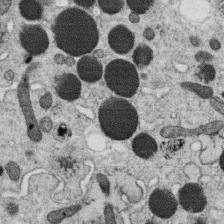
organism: C. elegans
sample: C. elegans oocyte; sperm cells